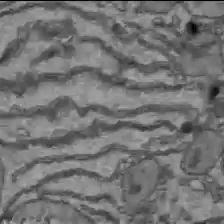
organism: C57BL Mouse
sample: Liver